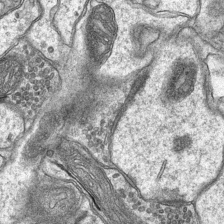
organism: Mouse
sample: CA1 Hippocampus